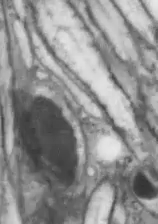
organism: Drosophila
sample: Optic lobe